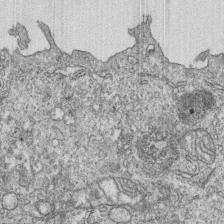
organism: Human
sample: HeLa cell HIV synapse